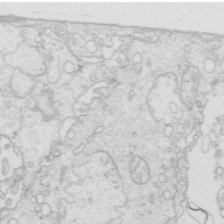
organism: Mouse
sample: Multiciliated cells